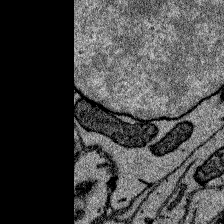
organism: Zebrafish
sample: Larval olfactory bulb